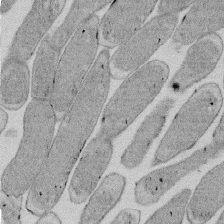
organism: E. coli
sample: Bacterial nucleoid